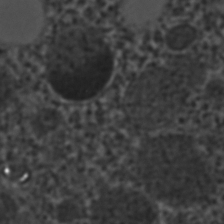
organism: C. elegans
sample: C. elegans embryo